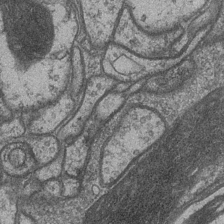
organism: Drosophila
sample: Optic medulla